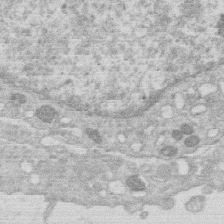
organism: Human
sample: Macrophage cells